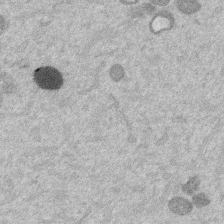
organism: Mouse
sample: Dividing mouse embryo 1 cell stage